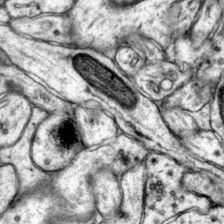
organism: Mouse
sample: Primary visual cortex